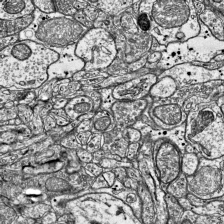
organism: Mouse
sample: Visual Cortex